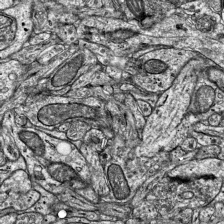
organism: Mouse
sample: Visual Cortex